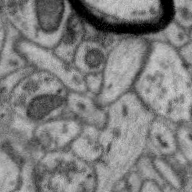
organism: Zebra finch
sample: Brain